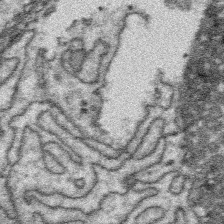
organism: Platynereis dumerilii